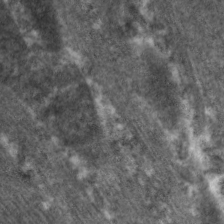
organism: C. elegans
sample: Pharynx